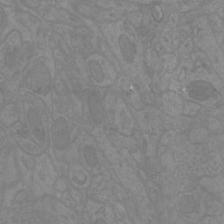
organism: Mouse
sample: Cortical neurons